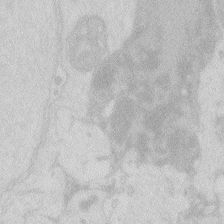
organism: Zebrafish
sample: Macrophage